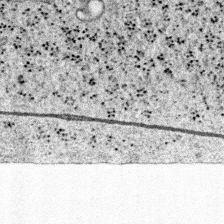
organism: Human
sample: HeLa cells